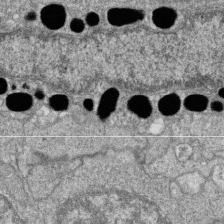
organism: Zebrafish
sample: Cilia; retinal pigment epithelium